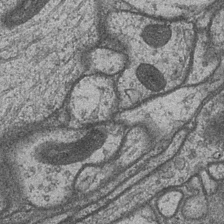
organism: Drosophila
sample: Optic medulla